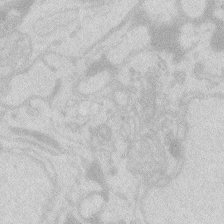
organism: Zebrafish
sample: Macrophage